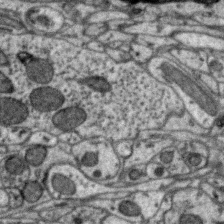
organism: Zebra finch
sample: Brain